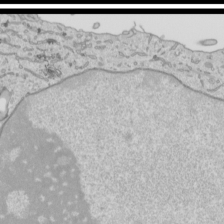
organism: Human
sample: Mitochondria in HCT116 cells